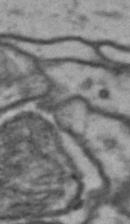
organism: Drosophila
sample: Brain